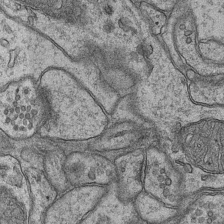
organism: Mouse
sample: CA1 Hippocampus